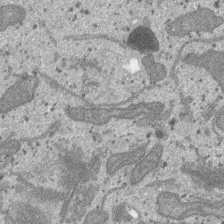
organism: Human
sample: Lung epithelial cells infected with SARS-CoV-2